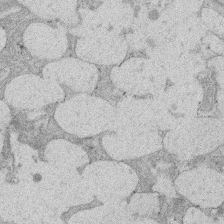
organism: Rat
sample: Salivary granule